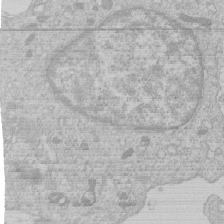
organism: Human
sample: Macrophage cells